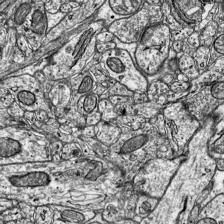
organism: Mouse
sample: Visual Cortex